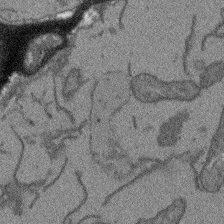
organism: Arabidopsis thaliana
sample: Root tip